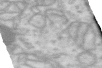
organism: Human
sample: Centriole in RPE cells